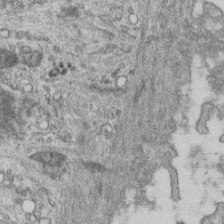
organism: Mouse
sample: Centriole in ependymal cells